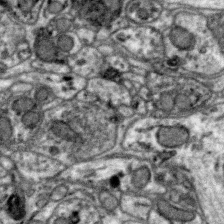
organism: Zebra finch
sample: Brain